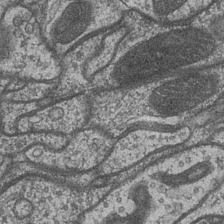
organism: Drosophila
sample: Optic medulla